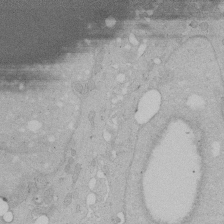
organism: Human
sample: Melanocyte Keratinocyte synapse skin construct